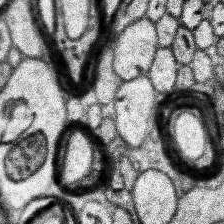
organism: Human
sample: Temporal Lobe